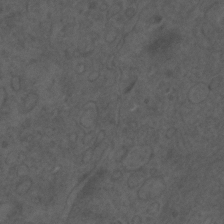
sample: Trachea